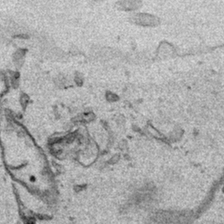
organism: Human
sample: Mitochondria in HCT116 cells